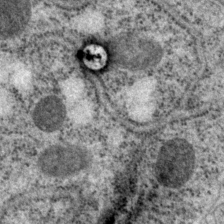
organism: P. pacificus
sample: Pharynx